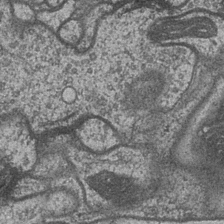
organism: Drosophila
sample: Optic medulla